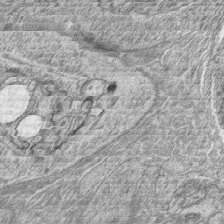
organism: Zebrafish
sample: synaptic ribbons in rod cells and cone cells